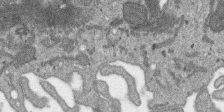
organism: Human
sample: Lung epithelial cells infected with SARS-CoV-2